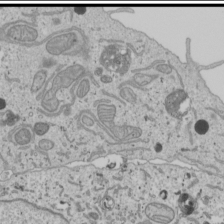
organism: Human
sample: Mitochondria in U2OS cells